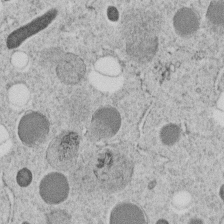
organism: C. elegans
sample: C. elegans embryo early stage